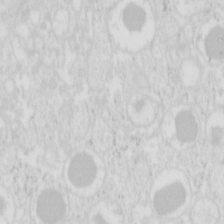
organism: Mouse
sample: Pancreas